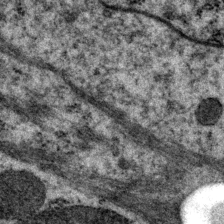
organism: P. pacificus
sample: Pharynx